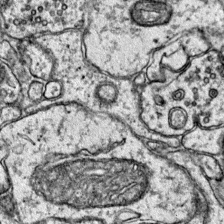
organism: Mouse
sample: Primary visual cortex